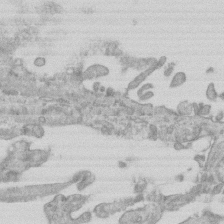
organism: Mouse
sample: Centriole in ependymal cells